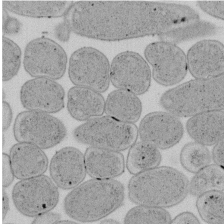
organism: E. coli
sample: Bacterial nucleoid